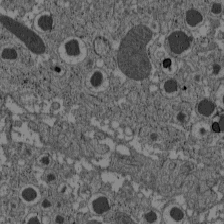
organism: C57BL Mouse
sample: Pancreatic islet